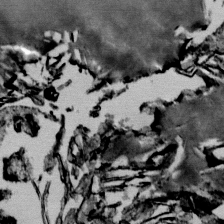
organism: Mouse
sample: Mouse Salivary gland